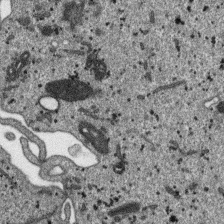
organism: Human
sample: Lung epithelial cells infected with SARS-CoV-2